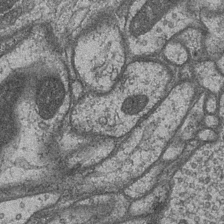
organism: Drosophila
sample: Optic medulla